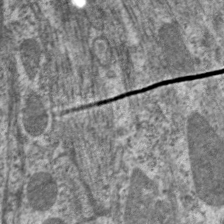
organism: C. elegans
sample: Pharynx